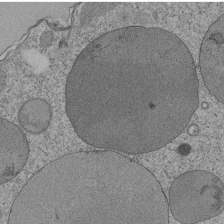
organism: Tetrahymena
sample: Cilia in tetrahymena